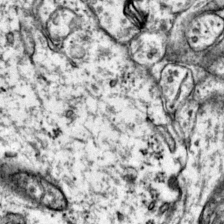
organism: Mouse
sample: Primary visual cortex